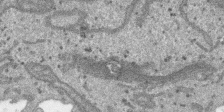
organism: Human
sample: Lung epithelial cells infected with SARS-CoV-2